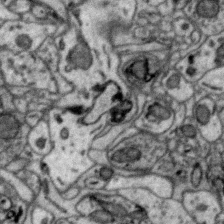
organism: Zebra finch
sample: Brain